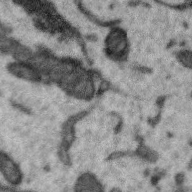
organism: Zebra finch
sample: Brain